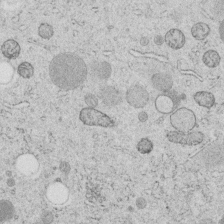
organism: C. elegans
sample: C. elegans embryo early stage